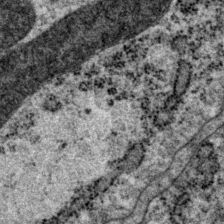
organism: P. pacificus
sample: Pharynx